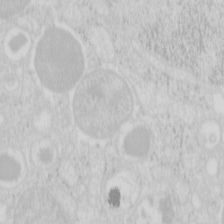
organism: Mouse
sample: Pancreas